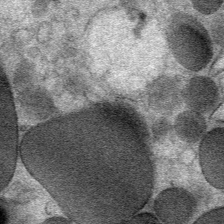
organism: Mouse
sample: Mouse Salivary gland